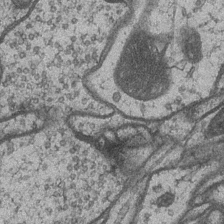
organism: Drosophila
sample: Optic medulla